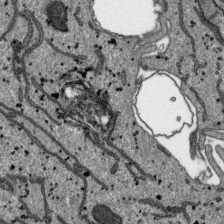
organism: Human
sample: Lung epithelial cells, uninfected (mock) control